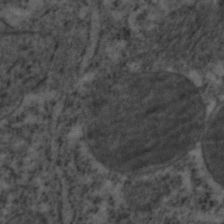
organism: C. elegans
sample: C. elegans embryo